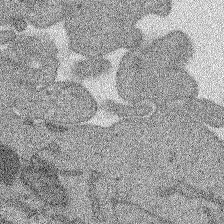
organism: Human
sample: HeLa cells